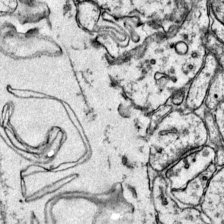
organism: Mouse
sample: Primary visual cortex